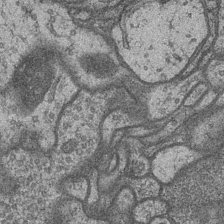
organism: Drosophila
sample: Optic medulla